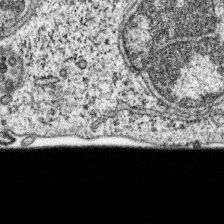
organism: Human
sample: HeLa cells